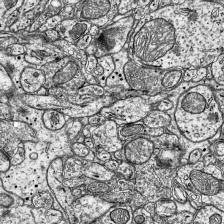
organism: Mouse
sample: Visual Cortex